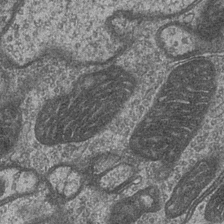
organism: Drosophila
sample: Optic medulla